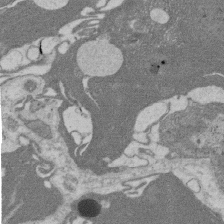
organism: Rat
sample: Salivary granule